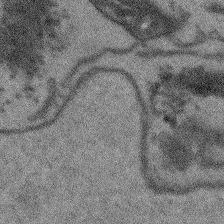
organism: Arabidopsis thaliana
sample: Root tip